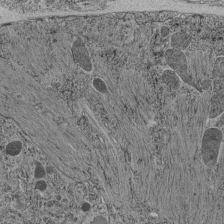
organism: C. elegans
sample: C. elegans pharynx